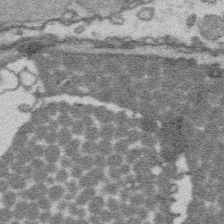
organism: Platynereis dumerilii